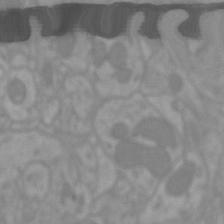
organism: Mouse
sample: Cortical neurons